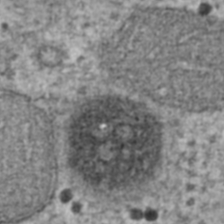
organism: Human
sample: Blood